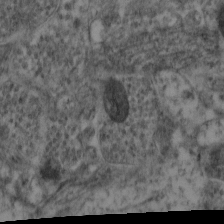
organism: Mouse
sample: Neocortex